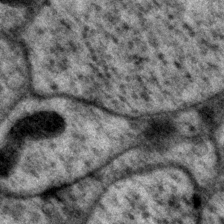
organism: P. pacificus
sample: Pharynx